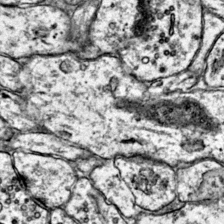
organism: Mouse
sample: Primary visual cortex